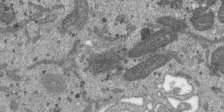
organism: Human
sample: Lung epithelial cells infected with SARS-CoV-2